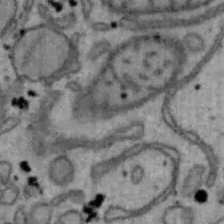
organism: Mouse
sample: Liver